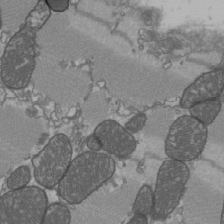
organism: C57BL Mouse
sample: Heart